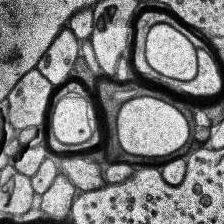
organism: Human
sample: Temporal Lobe